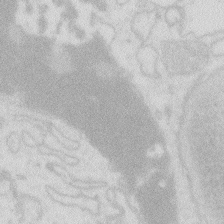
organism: Zebrafish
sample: Macrophage